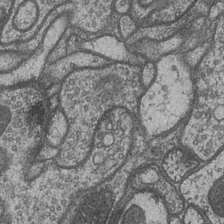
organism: Drosophila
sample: Optic medulla